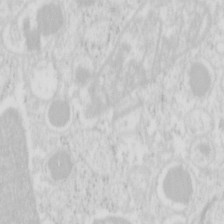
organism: Mouse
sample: Pancreas